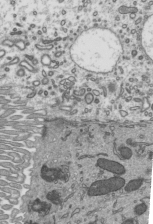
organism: Mouse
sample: Mouse epididymis efferent ductule cilia